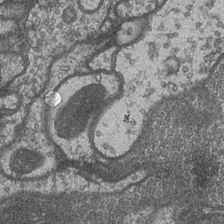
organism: Drosophila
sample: Optic medulla